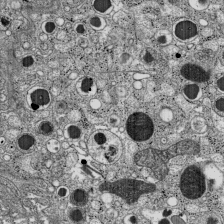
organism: C57BL Mouse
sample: Pancreatic islet